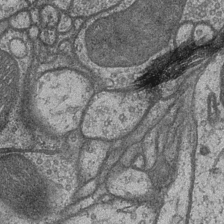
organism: Drosophila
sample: Optic medulla